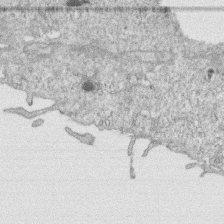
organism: Human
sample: HeLa cell HIV synapse